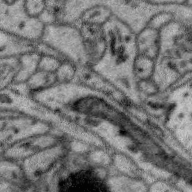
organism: Zebra finch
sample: Brain